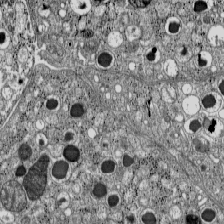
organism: C57BL Mouse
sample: Pancreatic islet